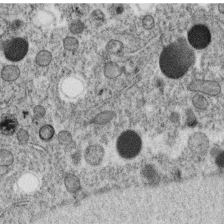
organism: C. elegans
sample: C. elegans oocyte; sperm cells